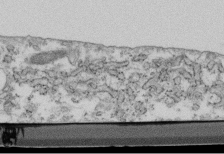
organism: Mouse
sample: Cilia; retinal pigment epithelium